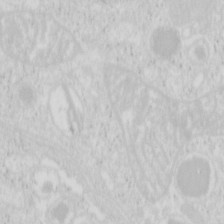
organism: Mouse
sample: Pancreas